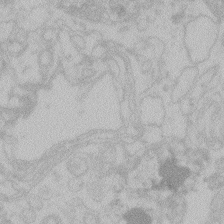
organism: Zebrafish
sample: Macrophage infected with Toxoplasma gondii